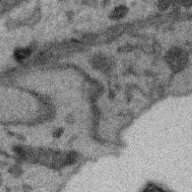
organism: Zebra finch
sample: Brain